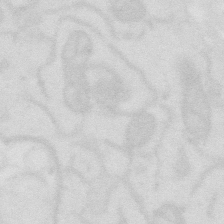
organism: Human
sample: HeLa cells